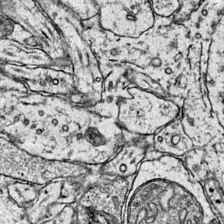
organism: Mouse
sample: Primary visual cortex